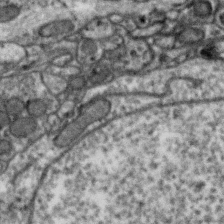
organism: Zebra finch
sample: Brain